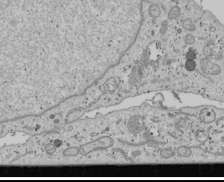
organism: Human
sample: Mitochondria in U2OS cells